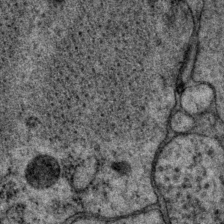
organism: P. pacificus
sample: Pharynx